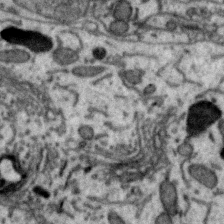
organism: Zebra finch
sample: Brain